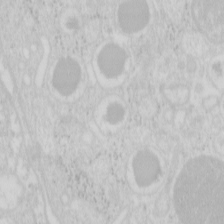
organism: Mouse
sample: Pancreas